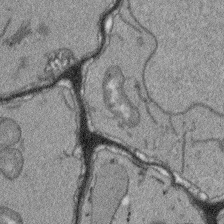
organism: Arabidopsis thaliana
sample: Root tip